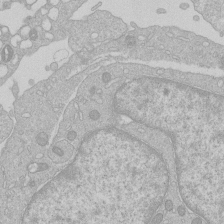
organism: Human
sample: Macrophage cells